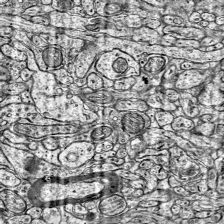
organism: Mouse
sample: Visual Cortex